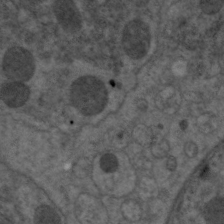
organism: C. elegans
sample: Pharynx